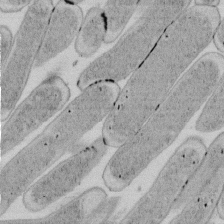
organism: E. coli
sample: Bacterial nucleoid